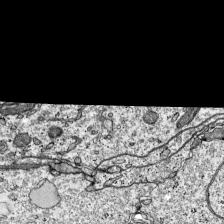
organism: Mouse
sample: Visual Cortex